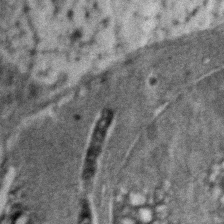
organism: Zebrafish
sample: Zebrafish embryo